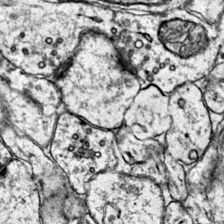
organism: Mouse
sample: Primary visual cortex